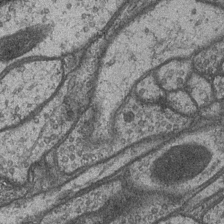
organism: Drosophila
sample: Optic medulla